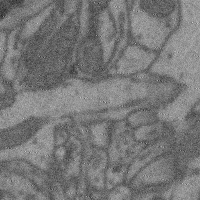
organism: Mouse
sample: Cerebral cortex